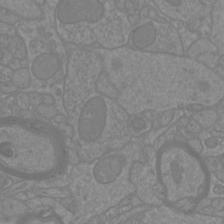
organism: Mouse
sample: Cortical neurons